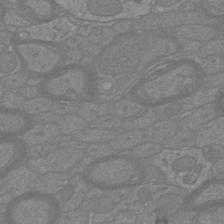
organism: Mouse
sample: Cortical neurons